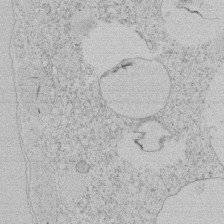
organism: Tetrahymena